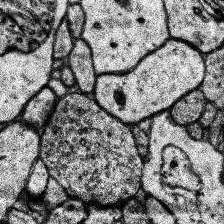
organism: Human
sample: Temporal Lobe